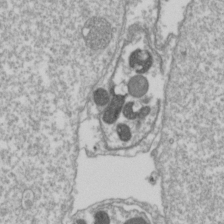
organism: Drosophila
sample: Cell division; meiosis; drosophila spermatocytes